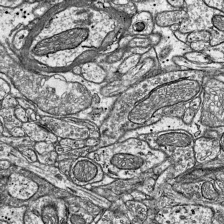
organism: Mouse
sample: Visual Cortex